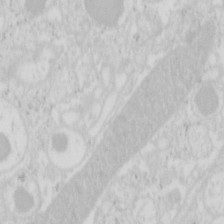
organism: Mouse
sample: Pancreas